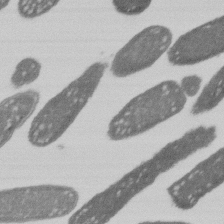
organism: E. coli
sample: Bacterial nucleoid